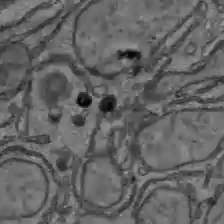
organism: C57BL Mouse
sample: Liver